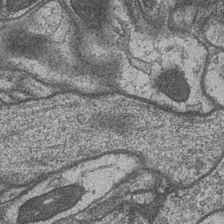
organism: Drosophila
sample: Optic medulla